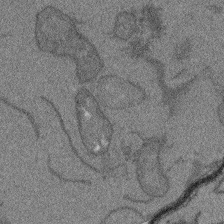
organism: Arabidopsis thaliana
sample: Root tip